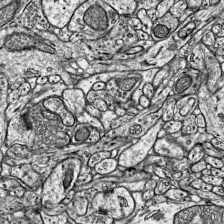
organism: Mouse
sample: Visual Cortex